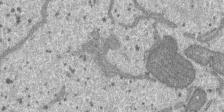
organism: Human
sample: Lung epithelial cells infected with SARS-CoV-2